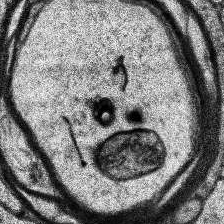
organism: Human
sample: Temporal Lobe